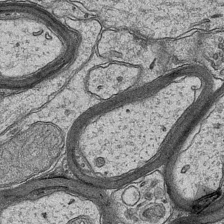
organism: Mouse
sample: CA1 Hippocampus